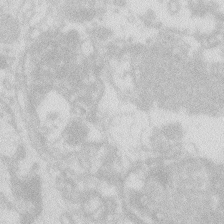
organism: Zebrafish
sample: Macrophage